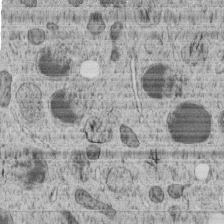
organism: C. elegans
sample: C. elegans embryo early stage